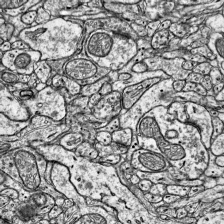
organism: Mouse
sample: Visual Cortex